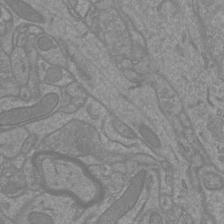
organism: Mouse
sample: Cortical neurons